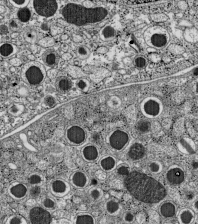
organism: C57BL Mouse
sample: Pancreatic islet